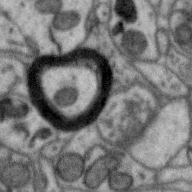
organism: Zebra finch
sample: Brain